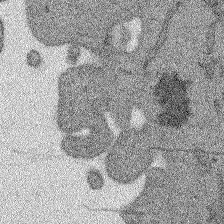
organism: Human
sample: HeLa cells